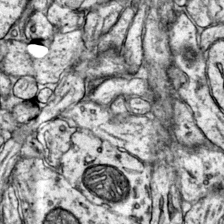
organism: Mouse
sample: Primary visual cortex